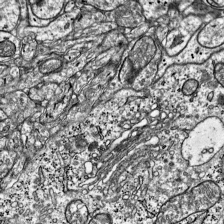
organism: Mouse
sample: Visual Cortex